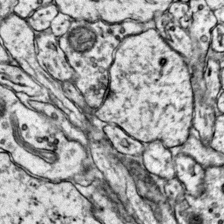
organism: Mouse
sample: Primary visual cortex